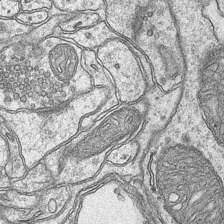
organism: Mouse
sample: CA1 Hippocampus